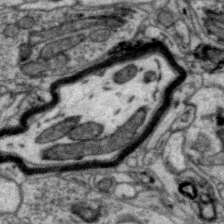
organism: Zebra finch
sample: Brain